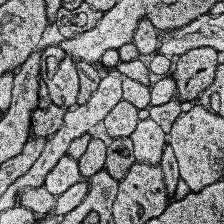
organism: Human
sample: Temporal Lobe